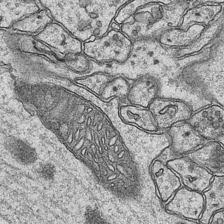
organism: Mouse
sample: CA1 Hippocampus